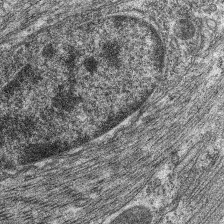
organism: C. elegans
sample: Pharynx